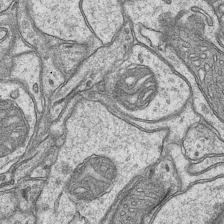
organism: Mouse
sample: CA1 Hippocampus